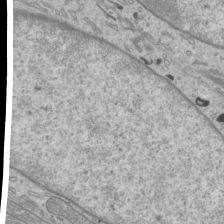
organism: Mouse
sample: Cilia; mouse epididymis